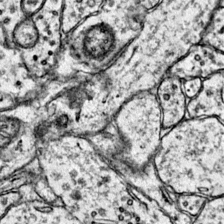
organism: Mouse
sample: Primary visual cortex